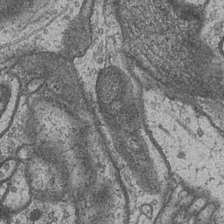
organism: Drosophila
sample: Optic medulla